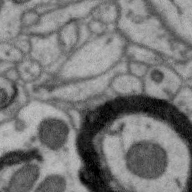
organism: Zebra finch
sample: Brain